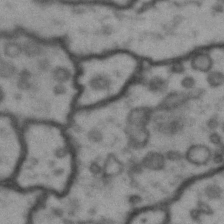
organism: Drosophila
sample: Brain